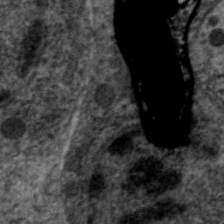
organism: C. elegans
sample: Pharynx